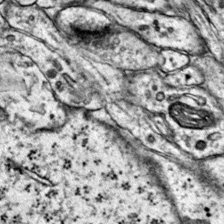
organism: Mouse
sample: Primary visual cortex